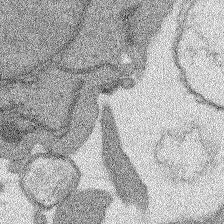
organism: Human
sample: HeLa cells